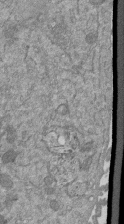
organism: Mouse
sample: ED-1 cell nuclei; centrioles